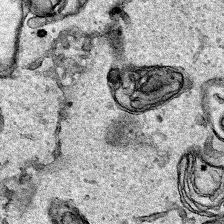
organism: Human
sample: Mitochondria in HCT116 cells